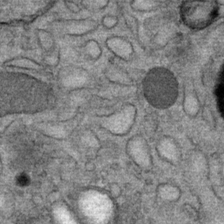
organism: Mouse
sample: Mouse Salivary gland